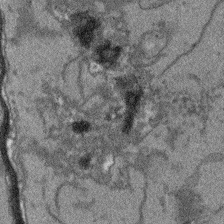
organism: Arabidopsis thaliana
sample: Root tip